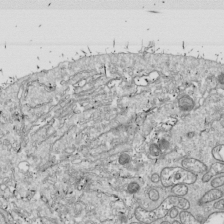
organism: Drosophila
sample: Cell division; meiosis; drosophila spermatocytes